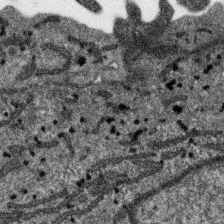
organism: Human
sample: Lung epithelial cells infected with SARS-CoV-2